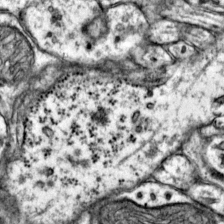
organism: Mouse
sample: Primary visual cortex